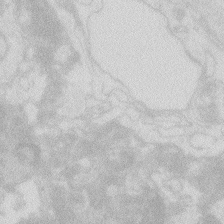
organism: Zebrafish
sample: Macrophage